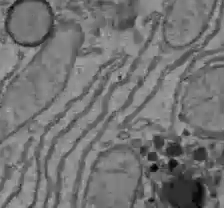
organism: C57BL Mouse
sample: Liver